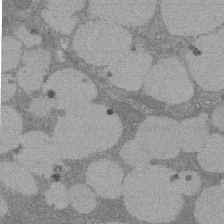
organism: Rat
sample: Salivary granule